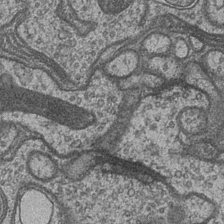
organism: Drosophila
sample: Optic medulla